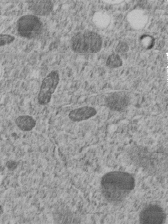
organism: C. elegans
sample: C. elegans embryo early stage